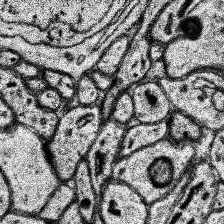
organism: Human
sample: Temporal Lobe